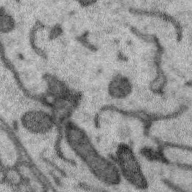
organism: Zebra finch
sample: Brain